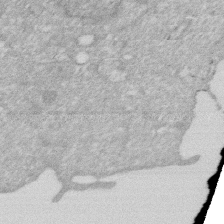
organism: Human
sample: HIV infected U937 cells